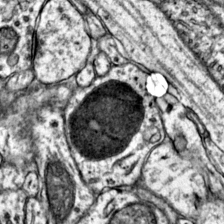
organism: Mouse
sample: Primary visual cortex